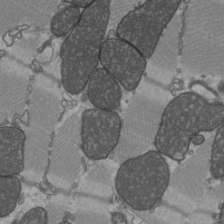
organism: C57BL Mouse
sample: Heart